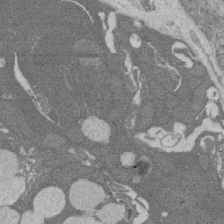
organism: Rat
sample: Salivary granule